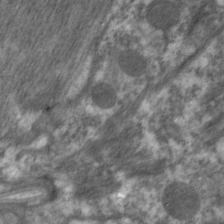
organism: C. elegans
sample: Pharynx